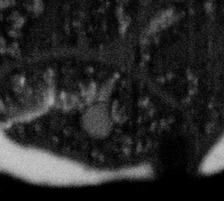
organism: Gemmata obscuriglobus